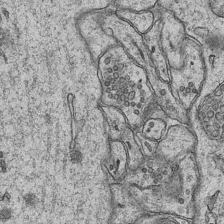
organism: Mouse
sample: CA1 Hippocampus